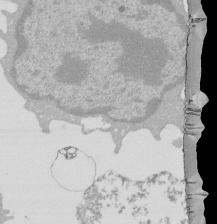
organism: Mouse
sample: Activated Pmel transgenic CD8+ T Cells